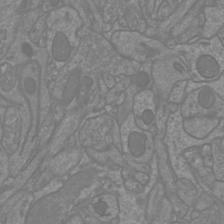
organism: Mouse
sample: Cortical neurons